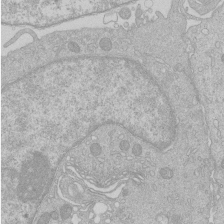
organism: Human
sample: Macrophage cells